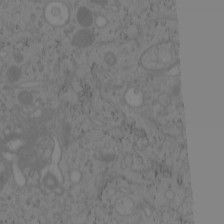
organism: Human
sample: HeLa cells